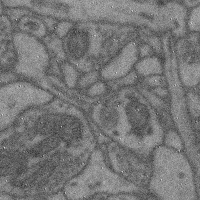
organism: Mouse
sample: Cerebral cortex